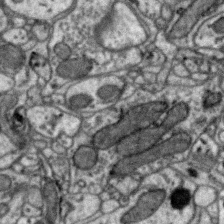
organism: Zebra finch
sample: Brain